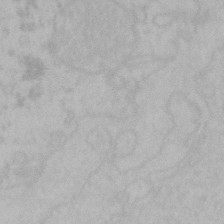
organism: Mouse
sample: Choroid plexus